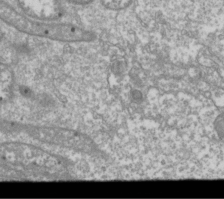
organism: Drosophila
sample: Cell division; meiosis; drosophila spermatocytes